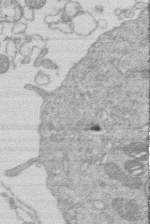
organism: Human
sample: Macrophage cells